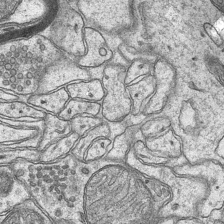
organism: Mouse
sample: CA1 Hippocampus